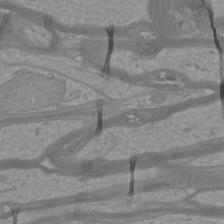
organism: Mouse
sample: Cortical neurons